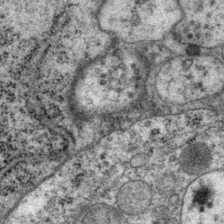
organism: P. pacificus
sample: Pharynx